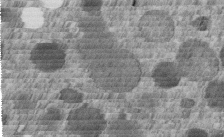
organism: C. elegans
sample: C. elegans embryo early stage